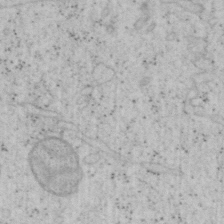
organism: Human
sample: HeLa cells